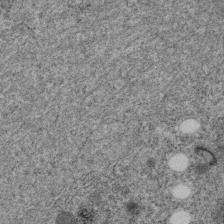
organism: C. elegans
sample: C. elegans embryo early stage